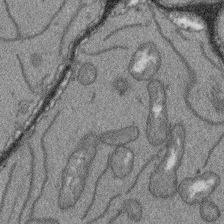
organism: Arabidopsis thaliana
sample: Root tip